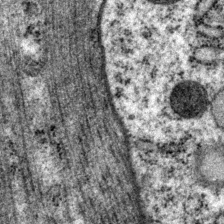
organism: P. pacificus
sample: Pharynx